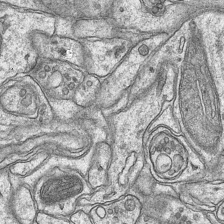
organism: Mouse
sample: CA1 Hippocampus